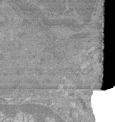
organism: Mouse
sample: Glomerulus